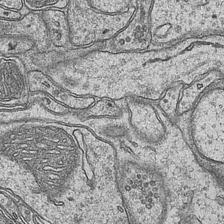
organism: Mouse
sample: CA1 Hippocampus